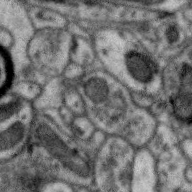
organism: Zebra finch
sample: Brain